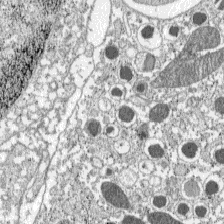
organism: C57BL Mouse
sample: Pancreatic islet